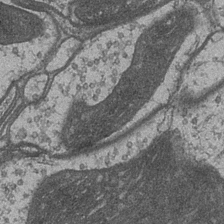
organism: Drosophila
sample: Optic medulla